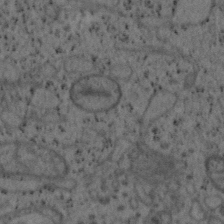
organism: Human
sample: HeLa cells